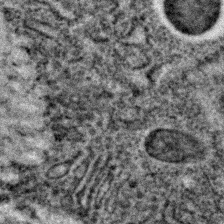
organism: C. elegans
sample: C. elegans embryo